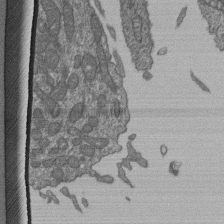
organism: Human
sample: Retinal organoid Rod and Cone cells